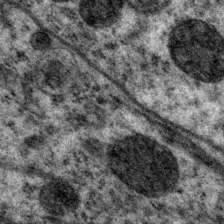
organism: P. pacificus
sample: Pharynx